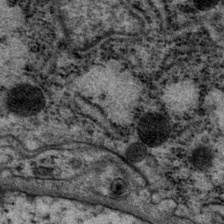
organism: P. pacificus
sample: Pharynx